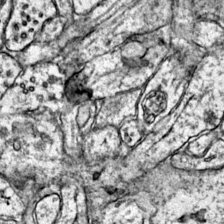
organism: Mouse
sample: Primary visual cortex